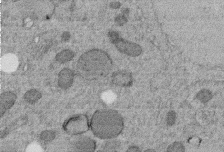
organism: C. elegans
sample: C. elegans embryo early stage